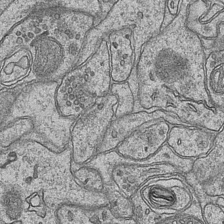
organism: Mouse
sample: CA1 Hippocampus